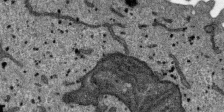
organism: Human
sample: Lung epithelial cells, uninfected (mock) control